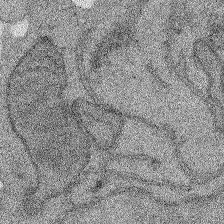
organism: Human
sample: HeLa cells